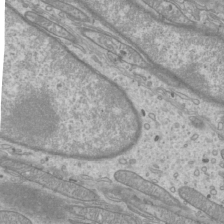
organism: Mouse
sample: Cilia; mouse epididymis